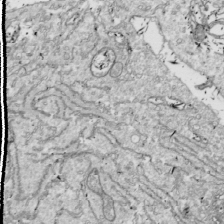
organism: Drosophila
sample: Cell division; meiosis; drosophila spermatocytes